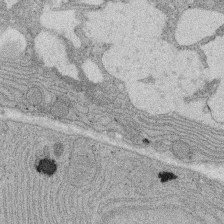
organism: Rat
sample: Salivary granule